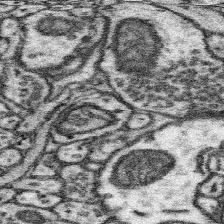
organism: Mouse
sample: Somatosensory cortex neuropil